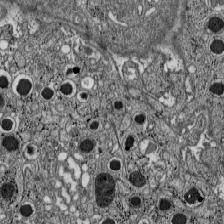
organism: C57BL Mouse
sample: Pancreatic islet